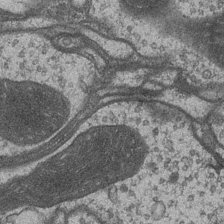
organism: Drosophila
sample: Optic medulla